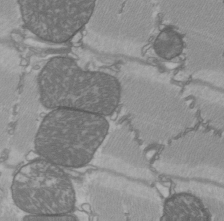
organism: C57BL Mouse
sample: Heart